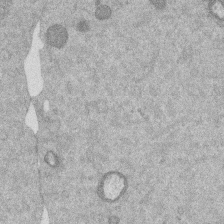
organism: Mouse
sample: Dividing mouse embryo 1 cell stage